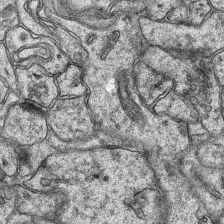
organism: Mouse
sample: CA1 Hippocampus